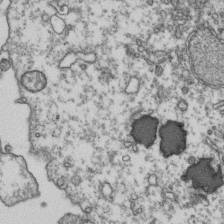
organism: Human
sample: Activated Jurkat CD4+ T cells